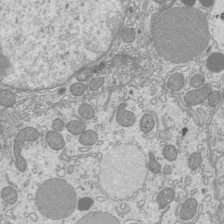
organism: Mouse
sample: Cilia; mouse epididymis